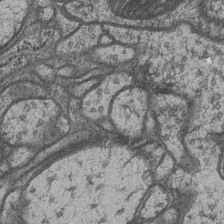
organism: Drosophila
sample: Optic medulla